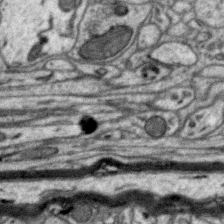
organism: Zebra finch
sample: Brain